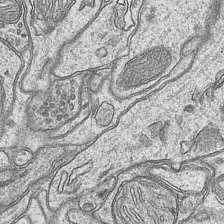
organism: Mouse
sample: CA1 Hippocampus